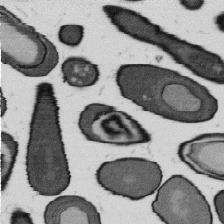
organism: B. subtilis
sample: Bacterial spore